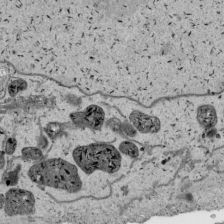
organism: Human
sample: Mitochondria in HCT116 cells